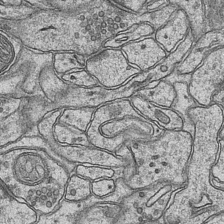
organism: Mouse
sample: CA1 Hippocampus